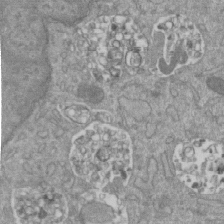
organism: Mouse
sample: ED-1 cell nuclei; centrioles